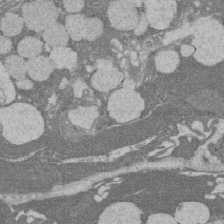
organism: Rat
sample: Salivary granule